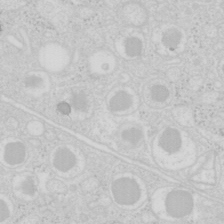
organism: Mouse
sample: Pancreas